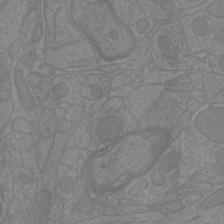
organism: Mouse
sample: Cortical neurons